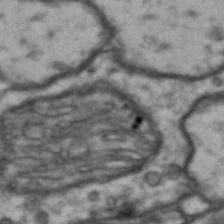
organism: Drosophila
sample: Brain